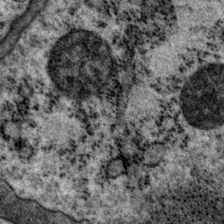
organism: P. pacificus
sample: Pharynx